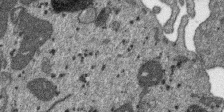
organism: Human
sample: Lung epithelial cells infected with SARS-CoV-2